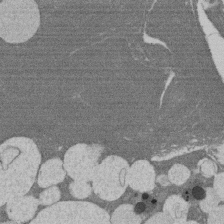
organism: Rat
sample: Salivary granule